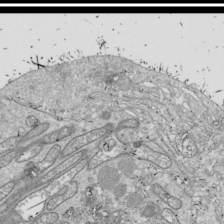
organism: Drosophila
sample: Cell division; meiosis; drosophila spermatocytes